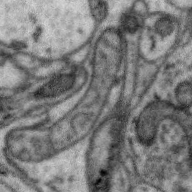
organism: Zebra finch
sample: Brain